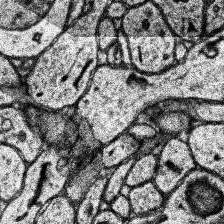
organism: Human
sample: Temporal Lobe